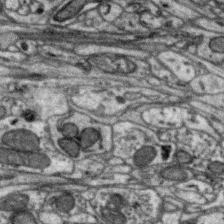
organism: Zebra finch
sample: Brain